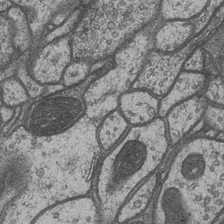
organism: Drosophila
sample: Optic medulla